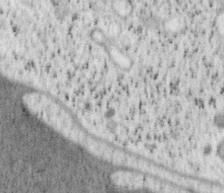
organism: Mouse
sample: OT-I killer T cells with ID8 ovarian cancer cells